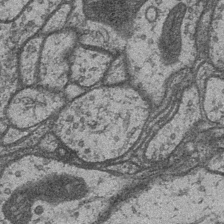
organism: Drosophila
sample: Optic medulla